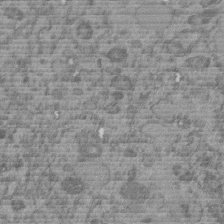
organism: C. elegans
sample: C. elegans embryo early stage